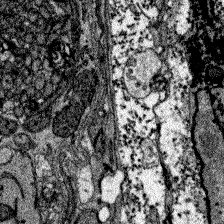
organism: Zebrafish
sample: Larval olfactory bulb